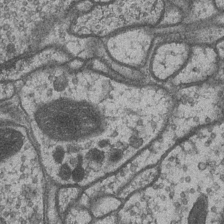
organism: Drosophila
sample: Optic medulla